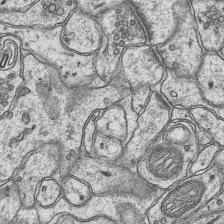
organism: Mouse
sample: CA1 Hippocampus